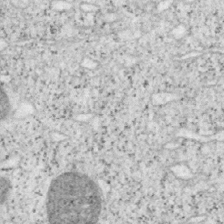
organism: Mouse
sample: OT-I killer T cells with ID8 ovarian cancer cells